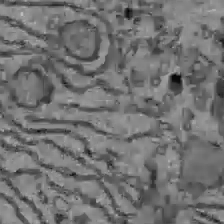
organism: C57BL Mouse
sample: Liver